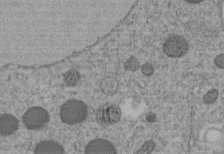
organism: C. elegans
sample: C. elegans embryo early stage